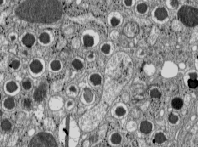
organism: C57BL Mouse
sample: Pancreatic islet